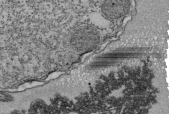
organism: Tetrahymena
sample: Cilia in tetrahymena